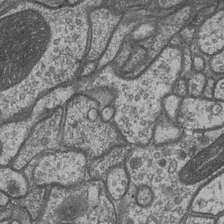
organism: Drosophila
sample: Optic medulla